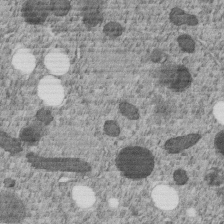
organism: C. elegans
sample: C. elegans embryo early stage